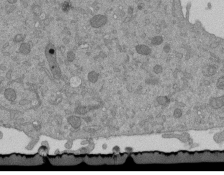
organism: Mouse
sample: ED-1 cell nuclei; centrioles